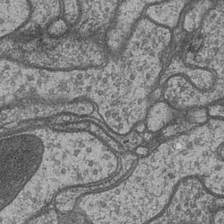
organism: Drosophila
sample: Optic medulla